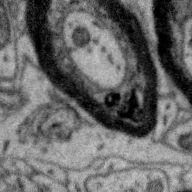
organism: Zebra finch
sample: Brain